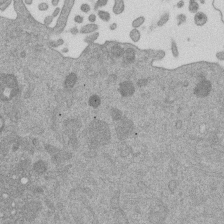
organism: Mouse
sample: Dividing mouse embryo 1 cell stage